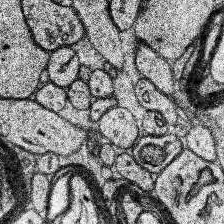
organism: Human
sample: Temporal Lobe